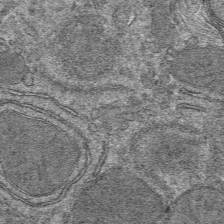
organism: Mouse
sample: Mouse hepatocytes